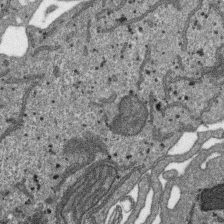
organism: Human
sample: Lung epithelial cells infected with SARS-CoV-2